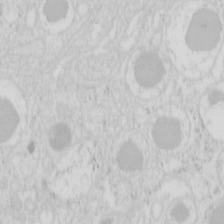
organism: Mouse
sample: Pancreas